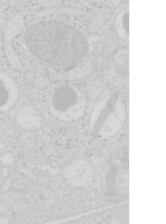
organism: Mouse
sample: Pancreas